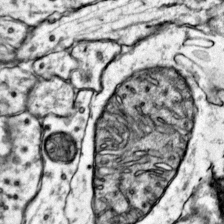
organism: Mouse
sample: Primary visual cortex